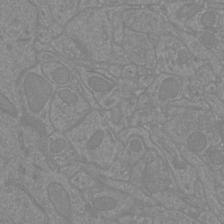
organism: Mouse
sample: Cortical neurons